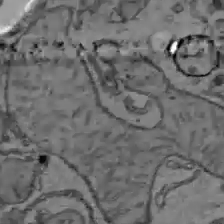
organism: C57BL Mouse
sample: Liver